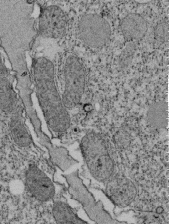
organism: Tetrahymena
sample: Cilia in tetrahymena